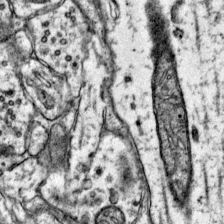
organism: Mouse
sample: Primary visual cortex